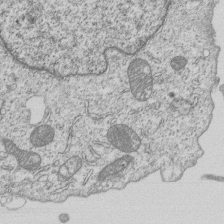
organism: Human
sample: MDA-MB-231 cells